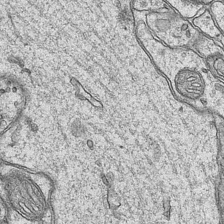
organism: Mouse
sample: CA1 Hippocampus